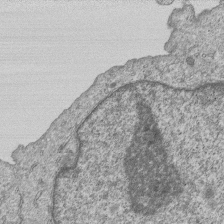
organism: Human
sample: MDA-MB-231 cells